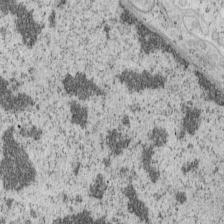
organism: Mouse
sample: OT-I killer T cells with ID8 ovarian cancer cells